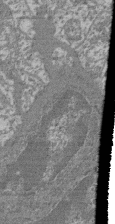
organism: Mouse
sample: Glomerulus